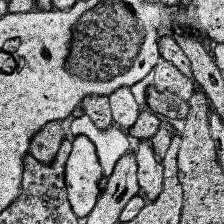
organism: Human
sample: Temporal Lobe